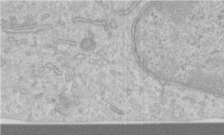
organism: Human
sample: Centriole in RPE cells